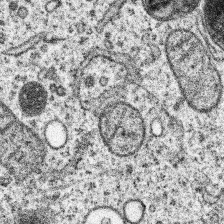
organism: Human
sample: HeLa cells